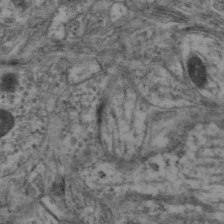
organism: Mouse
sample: Neocortex